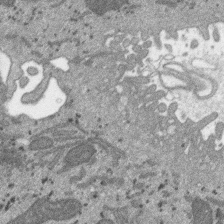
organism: Human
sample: Lung epithelial cells infected with SARS-CoV-2